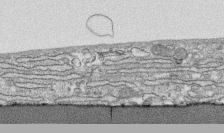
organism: Human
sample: CRL-1474